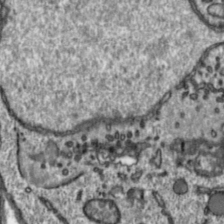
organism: Toxoplasma gondii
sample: Parasites in a vacuole inside a host cell